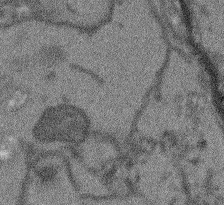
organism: Arabidopsis thaliana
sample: Root tip